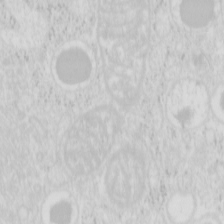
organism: Mouse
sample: Pancreas